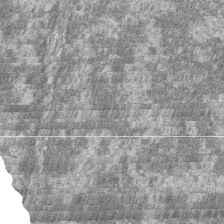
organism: Zebrafish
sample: Cilia; retinal pigment epithelium